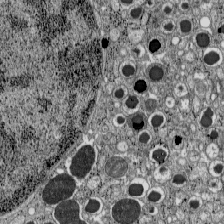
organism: C57BL Mouse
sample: Pancreatic islet